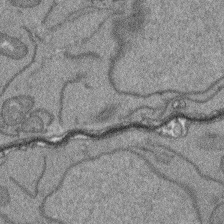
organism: Arabidopsis thaliana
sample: Root tip